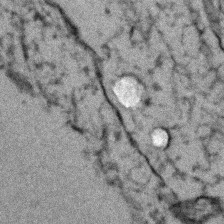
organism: Zebrafish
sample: Zebrafish embryo